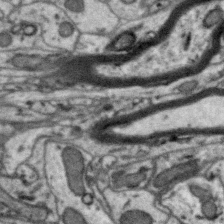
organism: Zebra finch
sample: Brain